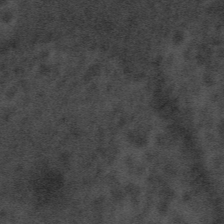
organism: Tuwongella immobilis